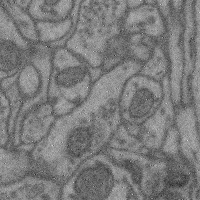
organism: Mouse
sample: Cerebral cortex